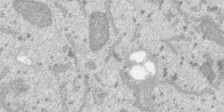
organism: Human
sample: Lung epithelial cells infected with SARS-CoV-2